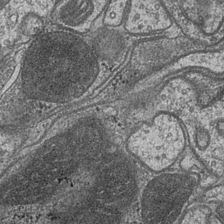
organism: Drosophila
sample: Optic medulla